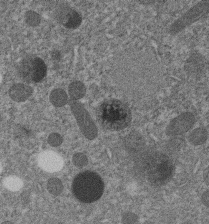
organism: C. elegans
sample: C. elegans embryo early stage